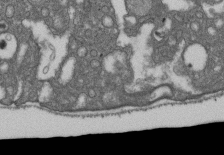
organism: Drosophila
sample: Nephrocyte